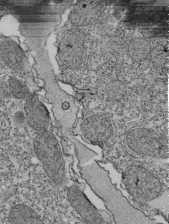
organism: Tetrahymena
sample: Cilia in tetrahymena